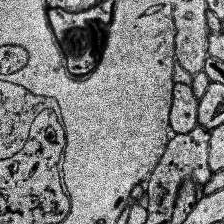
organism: Human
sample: Temporal Lobe